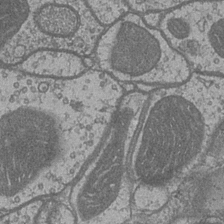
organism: Drosophila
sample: Optic medulla